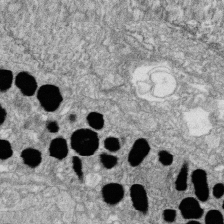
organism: Zebrafish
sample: Cilia; retinal pigment epithelium